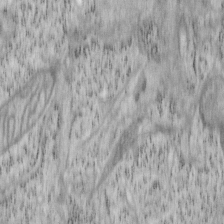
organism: Human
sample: HeLa cells